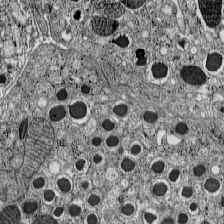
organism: C57BL Mouse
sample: Pancreatic islet